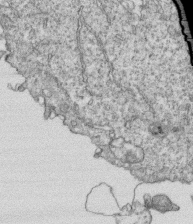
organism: Human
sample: HeLa cell HIV synapse